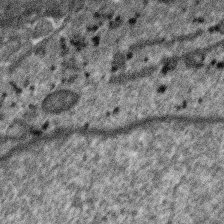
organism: Human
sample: Lung epithelial cells infected with SARS-CoV-2